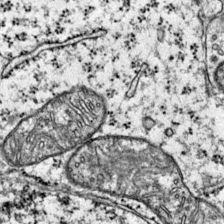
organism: Mouse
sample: Primary visual cortex